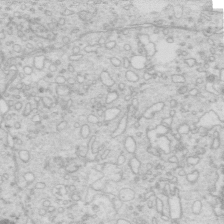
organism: Mouse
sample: Multiciliated cells